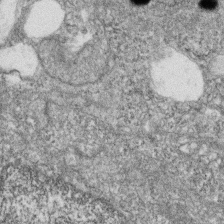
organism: Zebrafish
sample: Cilia; retinal pigment epithelium